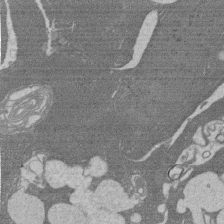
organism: Rat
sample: Salivary granule